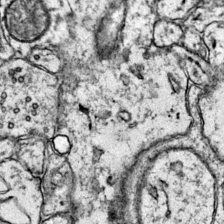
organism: Mouse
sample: Primary visual cortex